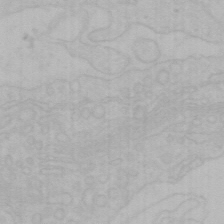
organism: Mouse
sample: Choroid plexus